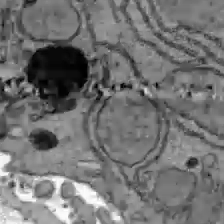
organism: C57BL Mouse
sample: Liver